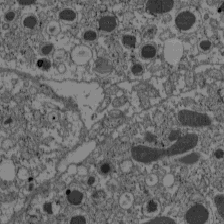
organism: C57BL Mouse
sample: Pancreatic islet